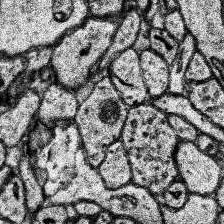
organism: Human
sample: Temporal Lobe